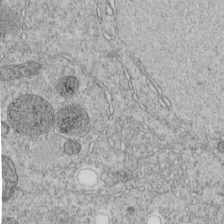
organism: C. elegans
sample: C. elegans embryo early stage